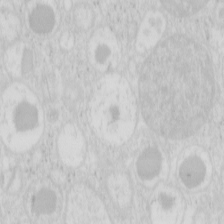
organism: Mouse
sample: Pancreas